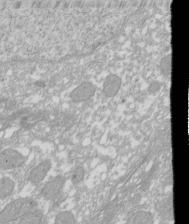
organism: Xenopus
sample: Cilia; centrioles in frog embryo cells